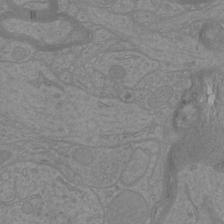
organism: Mouse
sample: Cortical neurons